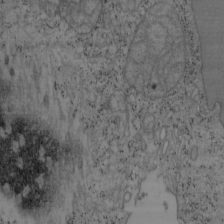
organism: Mouse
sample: OT-I killer T cells with ID8 ovarian cancer cells